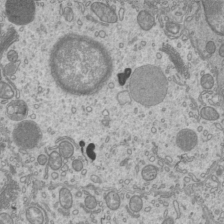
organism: Mouse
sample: Cilia; mouse epididymis